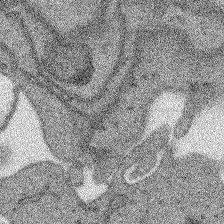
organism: Human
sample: HeLa cells